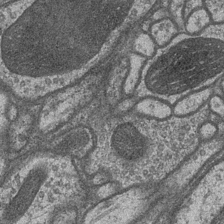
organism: Drosophila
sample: Optic medulla